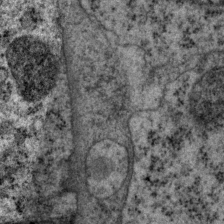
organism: P. pacificus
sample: Pharynx